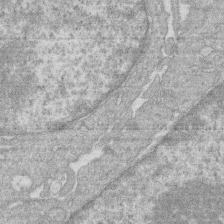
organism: Human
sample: Macrophage cells